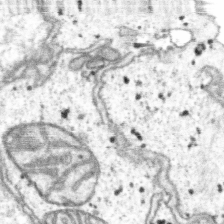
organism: Human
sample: HeLa cells